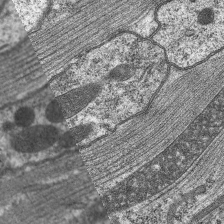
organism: C. elegans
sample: Pharynx